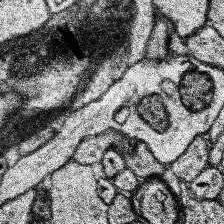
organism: Human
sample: Temporal Lobe